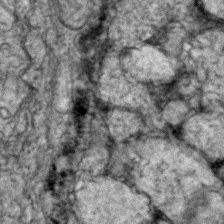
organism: Zebrafish